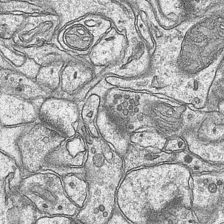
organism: Mouse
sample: CA1 Hippocampus